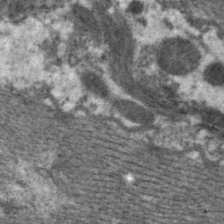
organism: C. elegans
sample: Pharynx